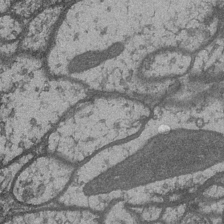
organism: Drosophila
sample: Optic medulla